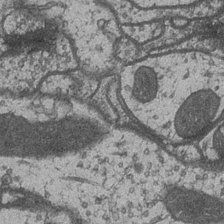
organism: Drosophila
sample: Optic medulla